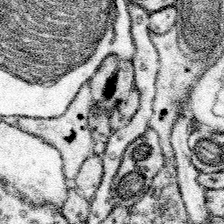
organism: Mouse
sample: Somatosensory cortex neuropil